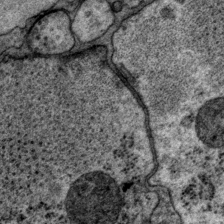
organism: P. pacificus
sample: Pharynx